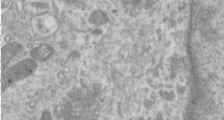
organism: Human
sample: Cilia; basal body in RPE cells